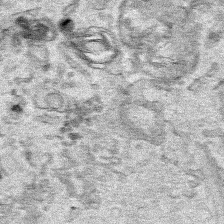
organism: Human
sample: Mitochondria in HCT116 cells